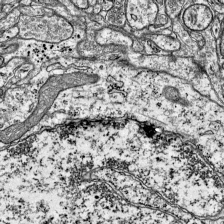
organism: Mouse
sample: Visual Cortex